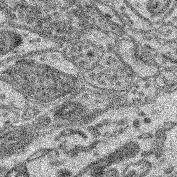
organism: Mouse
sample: Retina